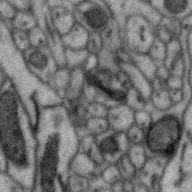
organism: Zebra finch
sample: Brain